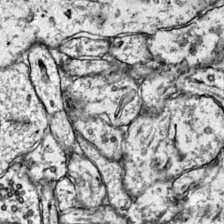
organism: Mouse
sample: Primary visual cortex